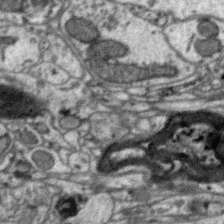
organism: Zebra finch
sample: Brain